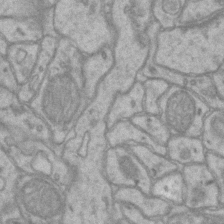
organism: Mouse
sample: CA1 Hippocampus